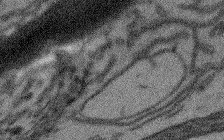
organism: Arabidopsis thaliana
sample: Root tip